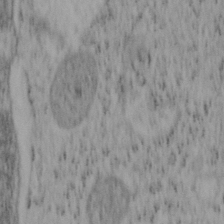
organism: Mouse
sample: OT-I killer T cells with ID8 ovarian cancer cells